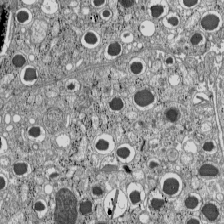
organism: C57BL Mouse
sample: Pancreatic islet